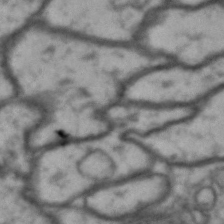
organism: Drosophila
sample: Brain